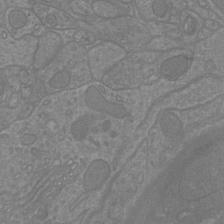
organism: Mouse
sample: Cortical neurons